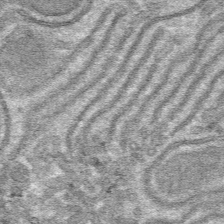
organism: Mouse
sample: Mouse hepatocytes